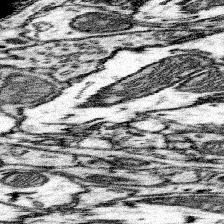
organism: Mouse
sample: Somatosensory cortex neuropil